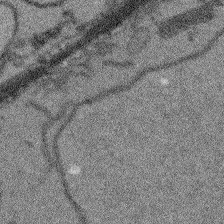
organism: Arabidopsis thaliana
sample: Root tip